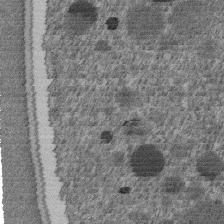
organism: C. elegans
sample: C. elegans embryo early stage